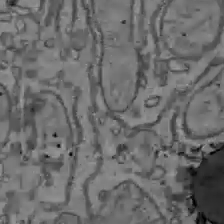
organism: C57BL Mouse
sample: Liver